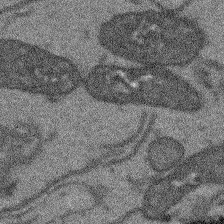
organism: Arabidopsis thaliana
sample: Root tip